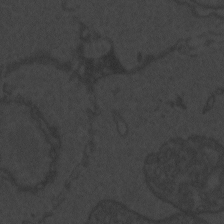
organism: Zebrafish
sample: Macrophage infected with Toxoplasma gondii